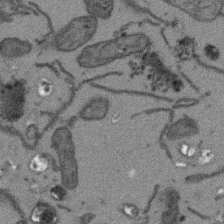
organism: Arabidopsis thaliana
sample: Root tip